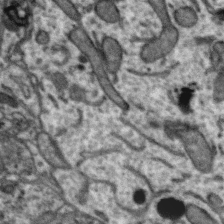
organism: Zebra finch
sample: Brain